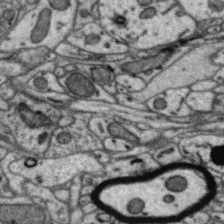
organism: Zebra finch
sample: Brain